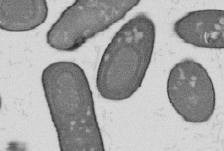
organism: B. subtilis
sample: Bacterial spore